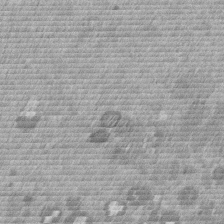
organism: Mouse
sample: Dividing mouse embryo 1 cell stage